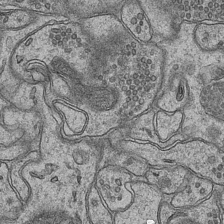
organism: Mouse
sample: CA1 Hippocampus